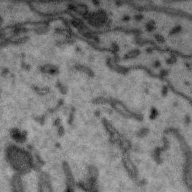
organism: Zebra finch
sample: Brain